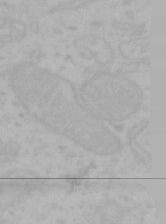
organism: Mouse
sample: Choroid plexus